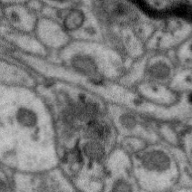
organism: Zebra finch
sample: Brain